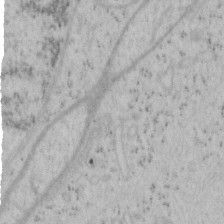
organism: Human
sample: HeLa cells